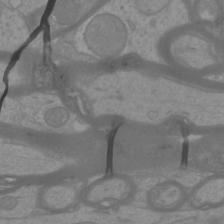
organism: Mouse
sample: Cortical neurons